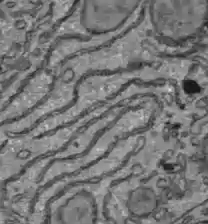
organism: C57BL Mouse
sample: Liver